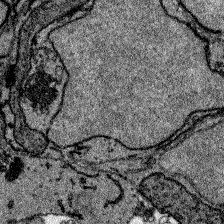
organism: Zebrafish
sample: Larval olfactory bulb